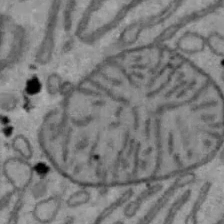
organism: Mouse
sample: Liver